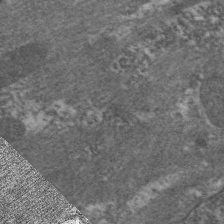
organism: C. elegans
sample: Pharynx